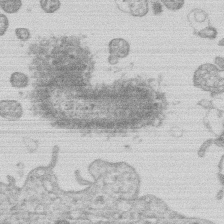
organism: Human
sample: Macrophage cells